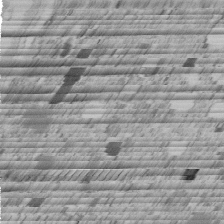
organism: C. elegans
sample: C. elegans embryo early stage